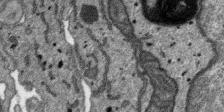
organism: Human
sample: Lung epithelial cells, uninfected (mock) control